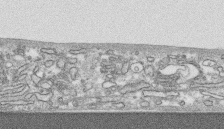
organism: Human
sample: CRL-1474